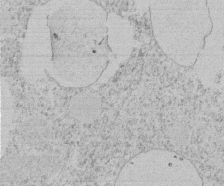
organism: Tetrahymena